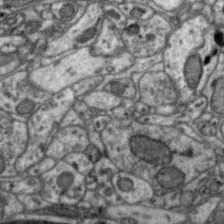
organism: Zebra finch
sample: Brain